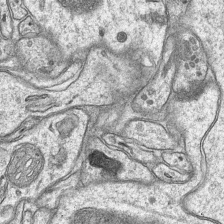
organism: Mouse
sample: CA1 Hippocampus